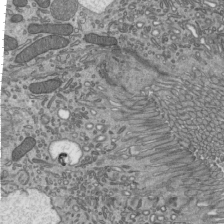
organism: Mouse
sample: Mouse epididymis efferent ductule cilia